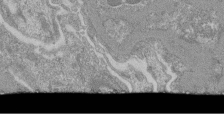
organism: Mouse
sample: Glomerulus